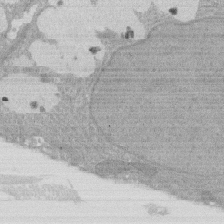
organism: Rat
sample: Salivary granule